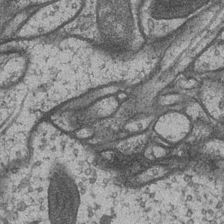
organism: Drosophila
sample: Optic medulla